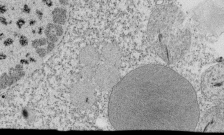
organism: Tetrahymena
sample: Cilia in tetrahymena